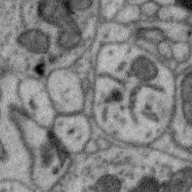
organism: Zebra finch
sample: Brain